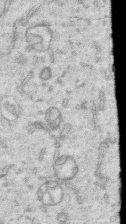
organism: Human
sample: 1205lu cells